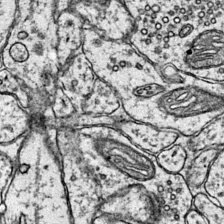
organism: Mouse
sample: Primary visual cortex